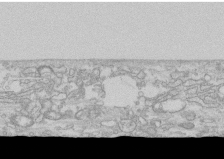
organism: Human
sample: CRL-1474